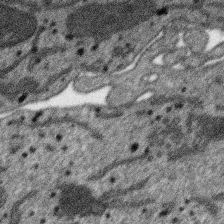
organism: Human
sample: Lung epithelial cells infected with SARS-CoV-2